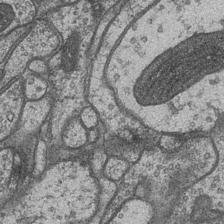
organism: Drosophila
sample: Optic medulla